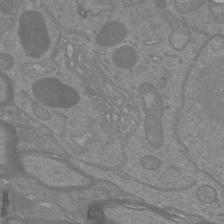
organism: Mouse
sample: Cortical neurons